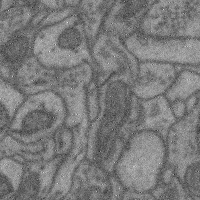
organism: Mouse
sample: Cerebral cortex